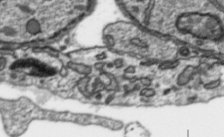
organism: Toxoplasma gondii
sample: Parasites in a vacuole inside a host cell